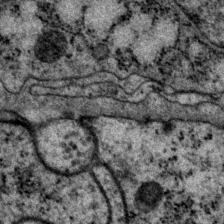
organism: P. pacificus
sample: Pharynx